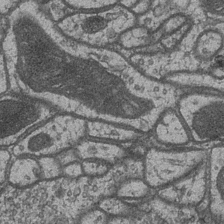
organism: Drosophila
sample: Optic medulla